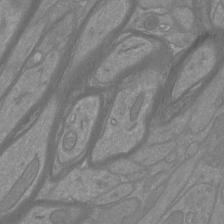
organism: Mouse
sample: Cortical neurons